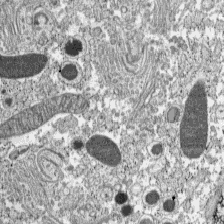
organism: C57BL Mouse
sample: Pancreatic islet